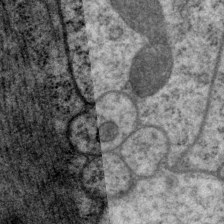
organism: P. pacificus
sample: Pharynx